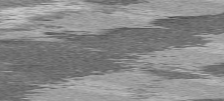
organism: C57BL Mouse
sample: Heart